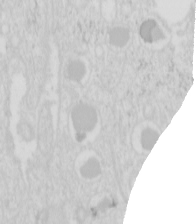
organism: Mouse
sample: Pancreas